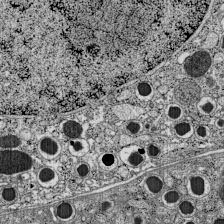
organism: C57BL Mouse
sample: Pancreatic islet